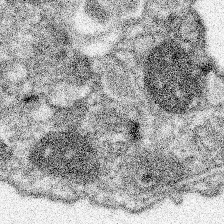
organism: Spongilla lacustris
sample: Neuroid cell